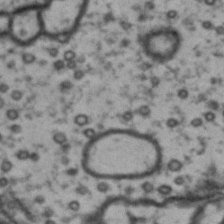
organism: Drosophila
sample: Brain